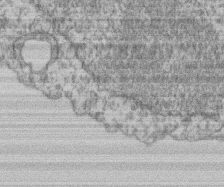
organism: Mouse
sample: T cell stromal cell synapse